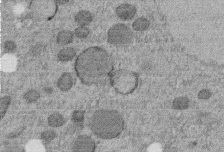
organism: C. elegans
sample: C. elegans embryo early stage